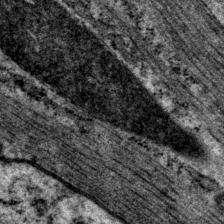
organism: P. pacificus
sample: Pharynx